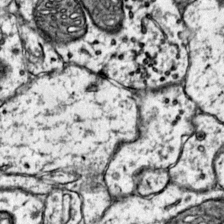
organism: Mouse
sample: Primary visual cortex